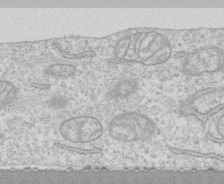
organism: Human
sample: CRL-1474